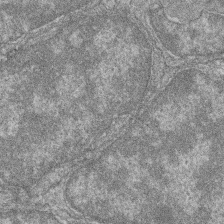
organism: Zebrafish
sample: Cilia; retinal pigment epithelium